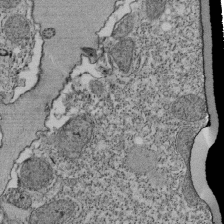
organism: Tetrahymena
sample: Cilia in tetrahymena